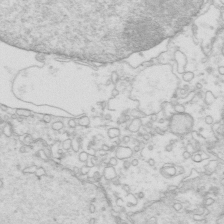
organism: Mouse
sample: Multiciliated cells